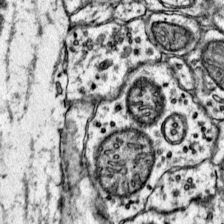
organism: Mouse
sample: Primary visual cortex